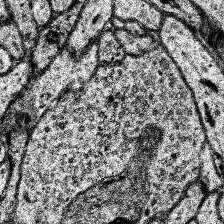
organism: Human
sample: Temporal Lobe